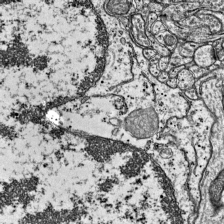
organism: Mouse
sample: Visual Cortex